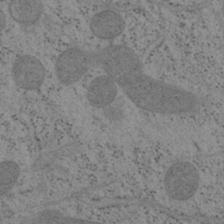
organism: Mouse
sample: OT-I killer T cells with ID8 ovarian cancer cells